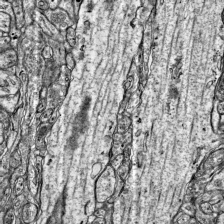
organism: Mouse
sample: Visual Cortex